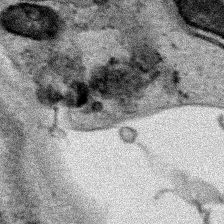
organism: Human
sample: Mitochondria in HCT116 cells